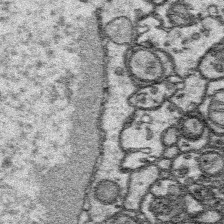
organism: Platynereis dumerilii